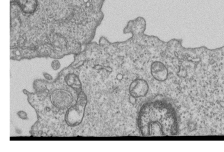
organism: Human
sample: MDA-MB-231 cells